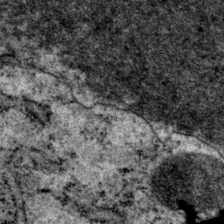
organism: P. pacificus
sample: Pharynx